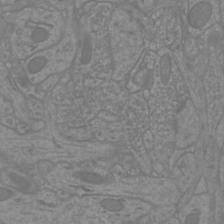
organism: Mouse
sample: Cortical neurons